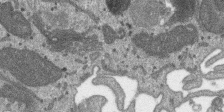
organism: Human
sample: Lung epithelial cells infected with SARS-CoV-2